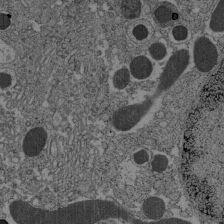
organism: C57BL Mouse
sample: Pancreatic islet